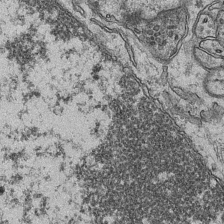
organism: Mouse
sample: CA1 Hippocampus